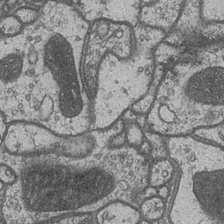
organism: Drosophila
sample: Optic medulla